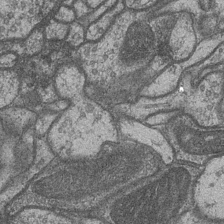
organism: Drosophila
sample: Optic medulla